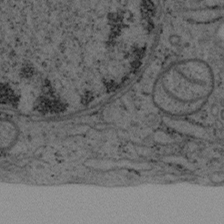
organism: Human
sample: HeLa cells